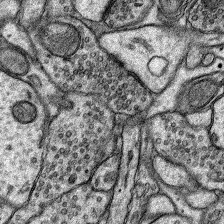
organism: Rat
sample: Hippocampus